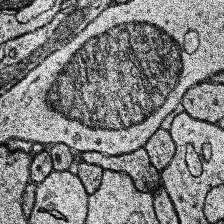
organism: Human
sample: Temporal Lobe